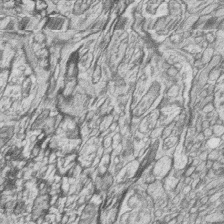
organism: Zebrafish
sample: synaptic ribbons in rod cells and cone cells